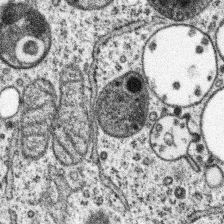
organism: Human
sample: HeLa cells